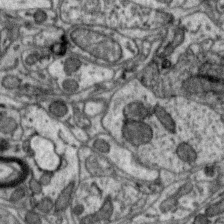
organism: Zebra finch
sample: Brain